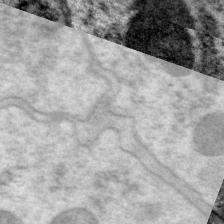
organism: P. pacificus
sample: Pharynx